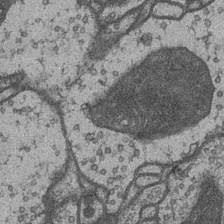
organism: Drosophila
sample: Optic medulla